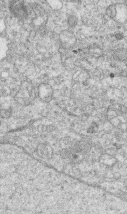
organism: Human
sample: HeLa cell HIV synapse